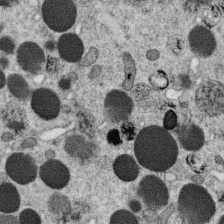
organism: C. elegans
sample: C. elegans oocyte; sperm cells